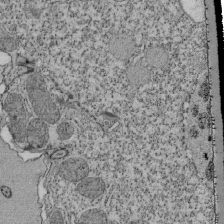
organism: Tetrahymena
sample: Cilia in tetrahymena